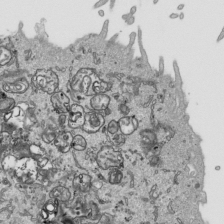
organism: Human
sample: Mitochondria in HCT116 cells